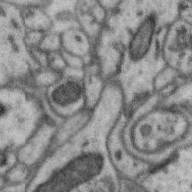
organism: Zebra finch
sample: Brain